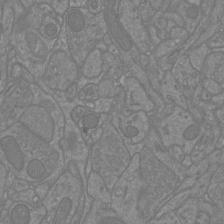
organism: Mouse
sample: Cortical neurons